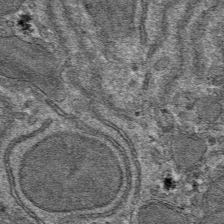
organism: Mouse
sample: Mouse hepatocytes